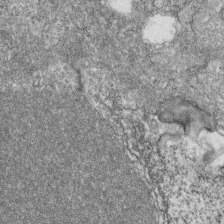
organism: Zebrafish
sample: Cilia; retinal pigment epithelium